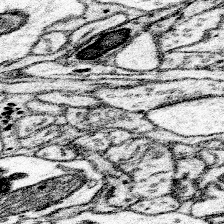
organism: Mouse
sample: Somatosensory cortex neuropil